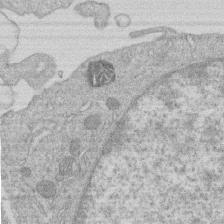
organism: Human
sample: Macrophage cells